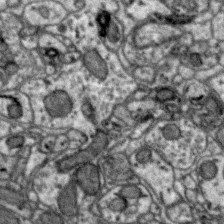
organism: Zebra finch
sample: Brain